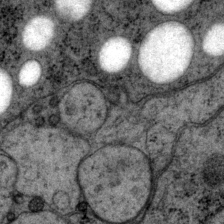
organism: P. pacificus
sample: Pharynx